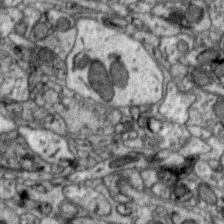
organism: Zebra finch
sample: Brain